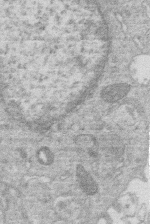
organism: Human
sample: Macrophage cells